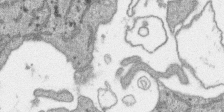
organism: Human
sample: Lung epithelial cells infected with SARS-CoV-2